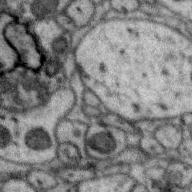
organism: Zebra finch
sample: Brain